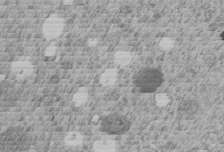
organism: C. elegans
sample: C. elegans embryo early stage